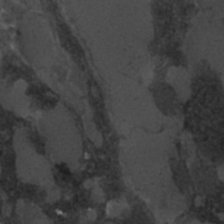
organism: C. elegans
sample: C. elegans embryo